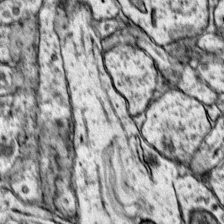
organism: Mouse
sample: Primary visual cortex